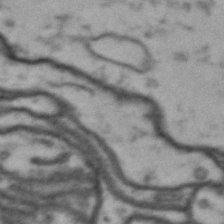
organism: Drosophila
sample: Brain